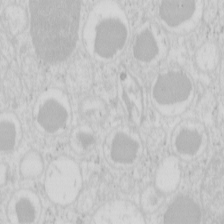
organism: Mouse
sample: Pancreas